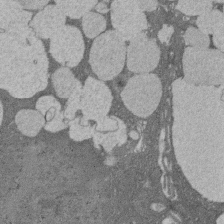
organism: Rat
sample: Salivary granule